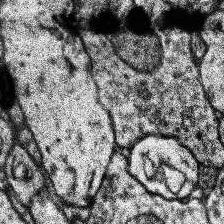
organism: Human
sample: Temporal Lobe